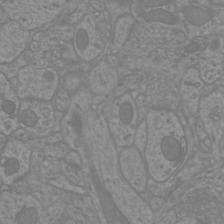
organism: Mouse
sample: Cortical neurons